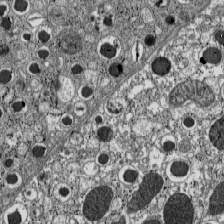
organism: C57BL Mouse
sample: Pancreatic islet